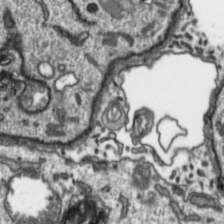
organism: Toxoplasma gondii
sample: Parasites in a vacuole inside a host cell